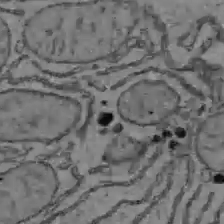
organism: C57BL Mouse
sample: Liver